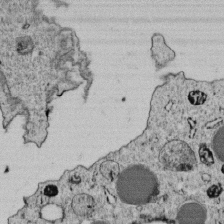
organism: C. elegans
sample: C. elegans embryo early stage